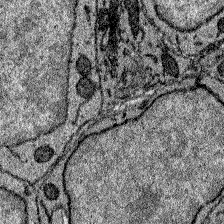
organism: Zebrafish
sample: Larval olfactory bulb